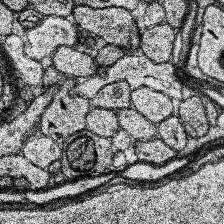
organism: Human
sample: Temporal Lobe